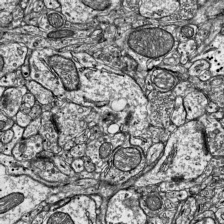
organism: Mouse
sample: Visual Cortex